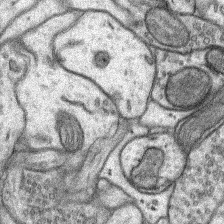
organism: Rat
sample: Hippocampus